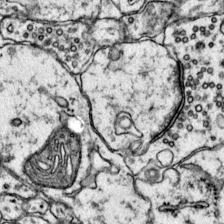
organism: Mouse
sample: Primary visual cortex